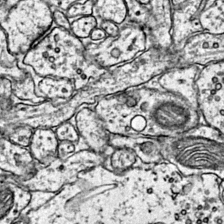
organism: Mouse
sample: Primary visual cortex